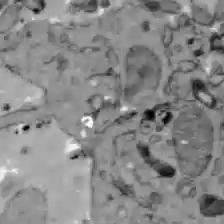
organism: C57BL Mouse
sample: Liver